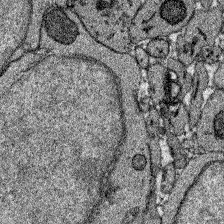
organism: Zebrafish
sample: Larval olfactory bulb